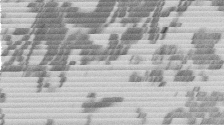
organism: Mouse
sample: Dividing mouse embryo 1 cell stage